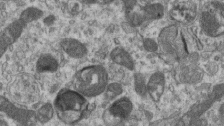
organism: Mouse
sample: Centriole in ependymal cells